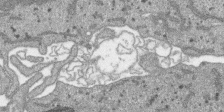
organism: Human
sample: Lung epithelial cells infected with SARS-CoV-2